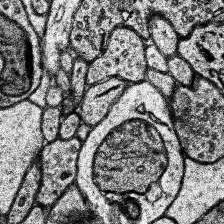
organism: Human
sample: Temporal Lobe